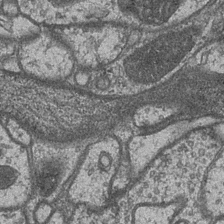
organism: Drosophila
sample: Optic medulla